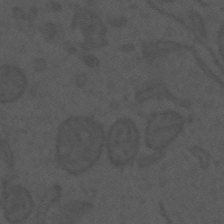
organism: Mouse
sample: Suprachiasmatic nucleus